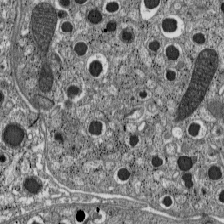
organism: C57BL Mouse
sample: Pancreatic islet